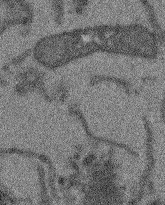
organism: Arabidopsis thaliana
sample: Root tip